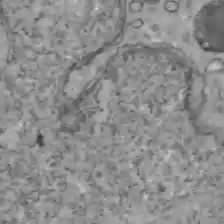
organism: C57BL Mouse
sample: Liver